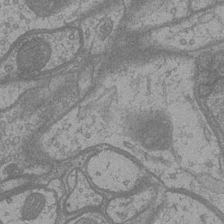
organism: Drosophila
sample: Optic medulla